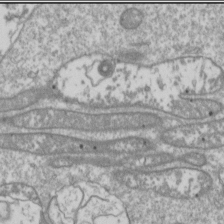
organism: Drosophila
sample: Cell division; meiosis; drosophila spermatocytes